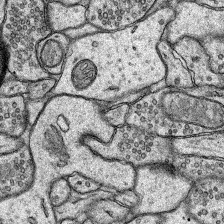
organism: Rat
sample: Hippocampus